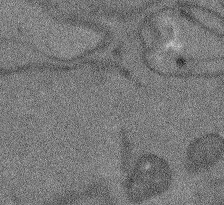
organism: Arabidopsis thaliana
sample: Root tip